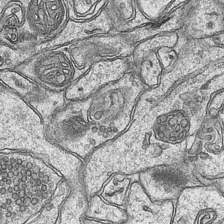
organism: Mouse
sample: CA1 Hippocampus